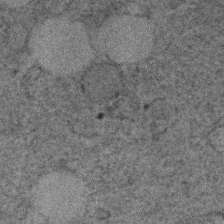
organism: Human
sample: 1205lu cells